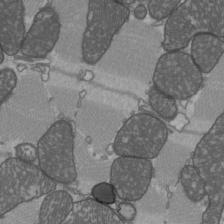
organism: C57BL Mouse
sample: Heart